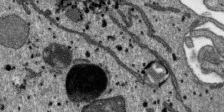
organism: Human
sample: Lung epithelial cells, uninfected (mock) control